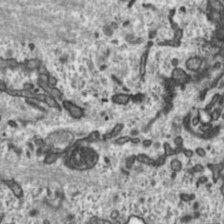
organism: Toxoplasma gondii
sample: Parasites in a vacuole inside a host cell